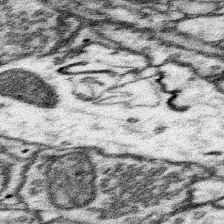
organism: Mouse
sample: Somatosensory cortex neuropil